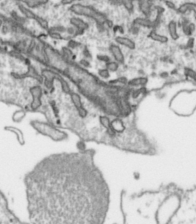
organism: Toxoplasma gondii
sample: Parasites in a vacuole inside a host cell